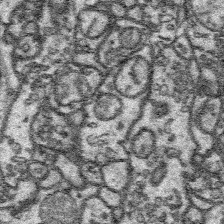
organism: Platynereis dumerilii